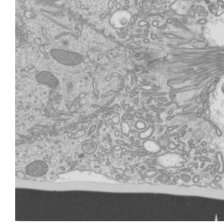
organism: Mouse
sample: Cilia; mouse epididymis